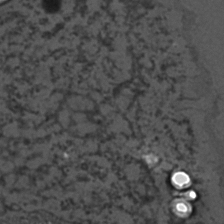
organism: C. elegans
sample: C. elegans embryo